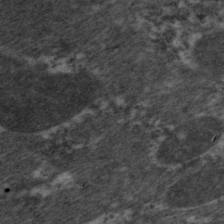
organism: C. elegans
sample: Pharynx